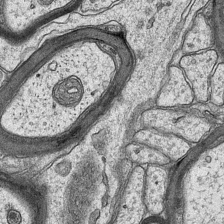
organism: Mouse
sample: CA1 Hippocampus